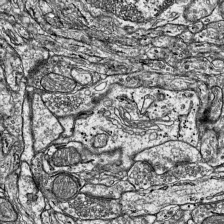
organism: Mouse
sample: Visual Cortex